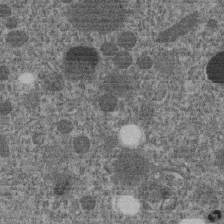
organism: C. elegans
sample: C. elegans embryo early stage